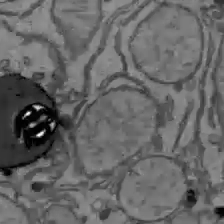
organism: C57BL Mouse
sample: Liver